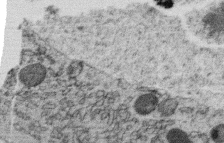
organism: C. elegans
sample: C. elegans oocyte; sperm cells